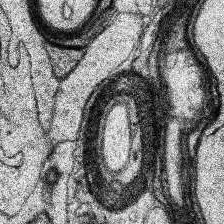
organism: Human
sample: Temporal Lobe